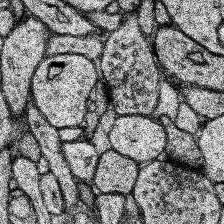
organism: Human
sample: Temporal Lobe